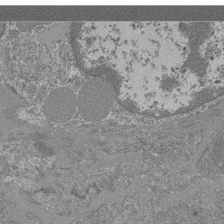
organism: Mouse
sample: Glomerulus